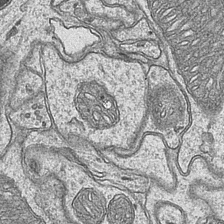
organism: Mouse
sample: CA1 Hippocampus